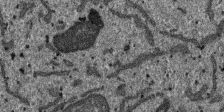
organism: Human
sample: Lung epithelial cells infected with SARS-CoV-2